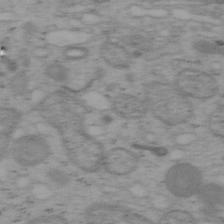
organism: Mouse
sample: OT-I killer T cells with ID8 ovarian cancer cells